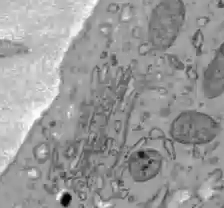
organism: C57BL Mouse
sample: Liver